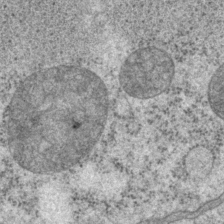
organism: P. pacificus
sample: Pharynx